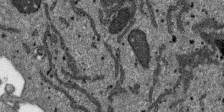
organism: Human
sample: Lung epithelial cells infected with SARS-CoV-2